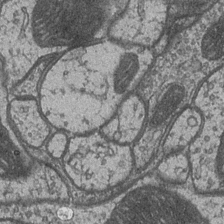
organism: Drosophila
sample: Optic medulla